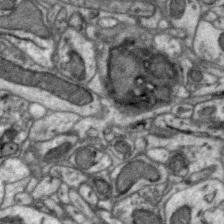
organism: Zebra finch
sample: Brain